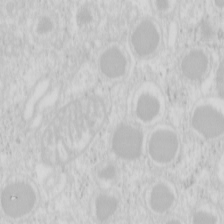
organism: Mouse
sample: Pancreas